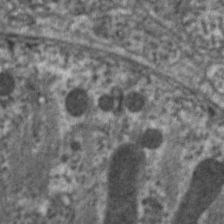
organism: C. elegans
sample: Pharynx